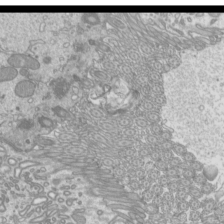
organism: Mouse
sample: Cilia; mouse epididymis